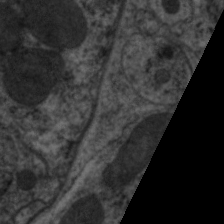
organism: C. elegans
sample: Pharynx